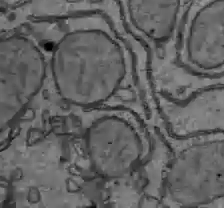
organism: C57BL Mouse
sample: Liver